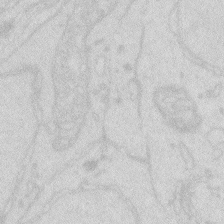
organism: Zebrafish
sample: Macrophage